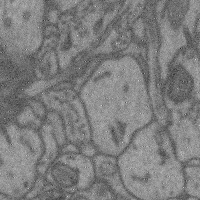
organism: Mouse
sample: Cerebral cortex